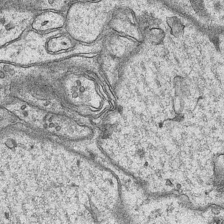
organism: Mouse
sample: CA1 Hippocampus